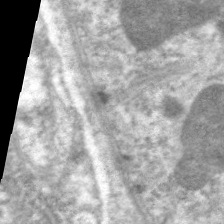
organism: C. elegans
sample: Pharynx